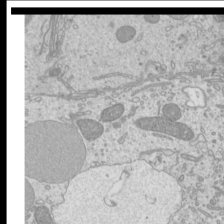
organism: Mouse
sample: Cilia; mouse epididymis